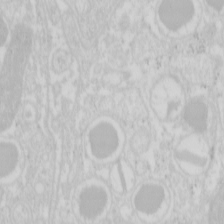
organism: Mouse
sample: Pancreas